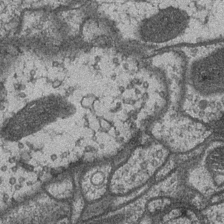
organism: Drosophila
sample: Optic medulla